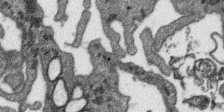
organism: Human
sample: Lung epithelial cells infected with SARS-CoV-2